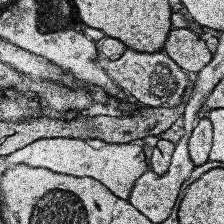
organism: Human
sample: Temporal Lobe